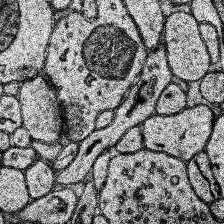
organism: Human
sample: Temporal Lobe